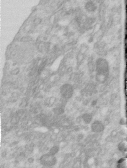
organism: Human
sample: Centriole in RPE cells